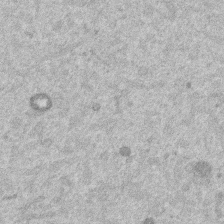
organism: Mouse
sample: Dividing mouse embryo 1 cell stage